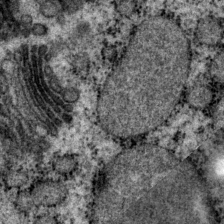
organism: P. pacificus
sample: Pharynx